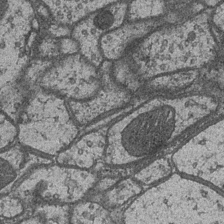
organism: Drosophila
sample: Optic medulla